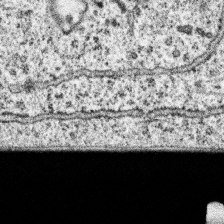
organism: Human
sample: HeLa cells